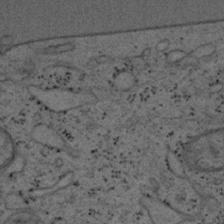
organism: Human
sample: HeLa cells